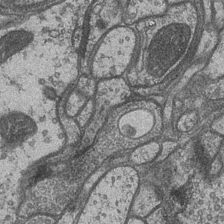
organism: Drosophila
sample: Optic medulla